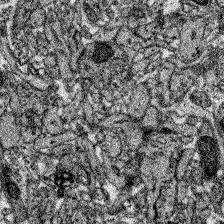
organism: Zebrafish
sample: Larval olfactory bulb